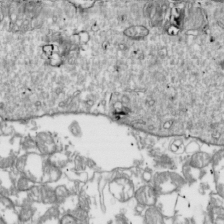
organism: Drosophila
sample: Cell division; meiosis; drosophila spermatocytes